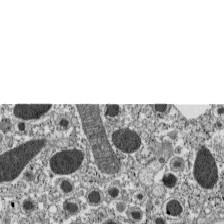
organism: C57BL Mouse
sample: Pancreatic islet